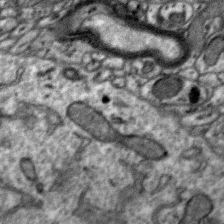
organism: Zebra finch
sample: Brain